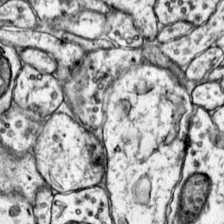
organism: Mouse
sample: Primary visual cortex